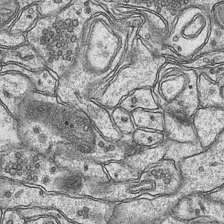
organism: Mouse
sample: CA1 Hippocampus